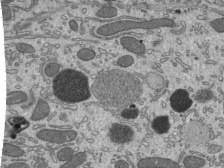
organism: Mouse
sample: Mouse epididymis efferent ductule cilia